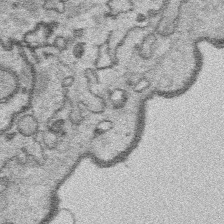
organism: Platynereis dumerilii